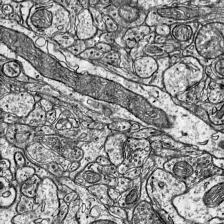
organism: Mouse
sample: Visual Cortex